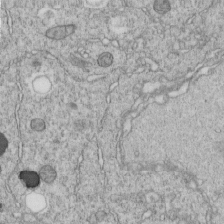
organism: C. elegans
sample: C. elegans embryo early stage